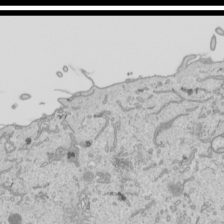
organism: Human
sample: Mitochondria in HCT116 cells